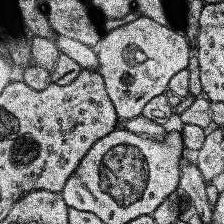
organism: Human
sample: Temporal Lobe